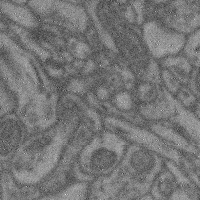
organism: Mouse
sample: Cerebral cortex